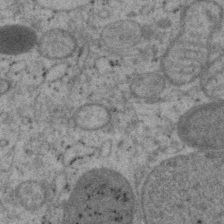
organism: Human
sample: HeLa cells